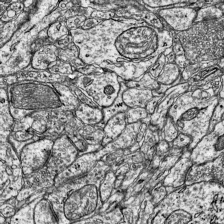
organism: Mouse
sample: Visual Cortex